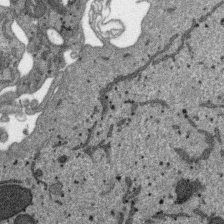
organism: Human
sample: Lung epithelial cells infected with SARS-CoV-2